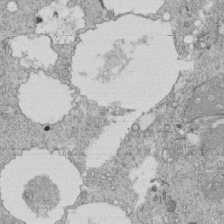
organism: Tetrahymena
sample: Cilia in tetrahymena